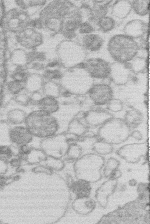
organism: Human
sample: Macrophage cells